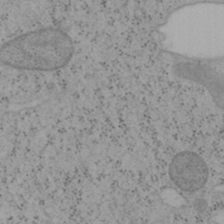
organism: Mouse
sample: OT-I killer T cells with ID8 ovarian cancer cells